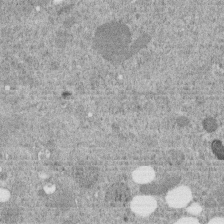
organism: C. elegans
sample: C. elegans embryo early stage